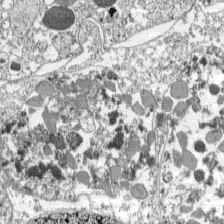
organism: C57BL Mouse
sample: Pancreatic islet